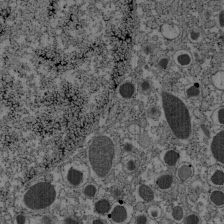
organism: C57BL Mouse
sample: Pancreatic islet